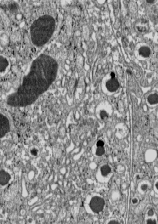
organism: C57BL Mouse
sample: Pancreatic islet